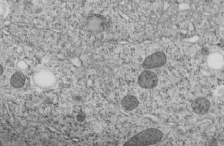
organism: C. elegans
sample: C. elegans embryo early stage